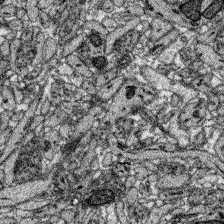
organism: Zebrafish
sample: Larval olfactory bulb